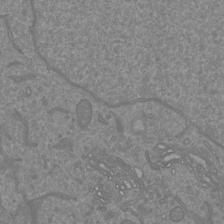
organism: Mouse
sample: Cortical neurons